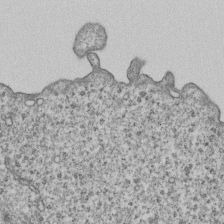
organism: Human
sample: MDA-MB-231 cells